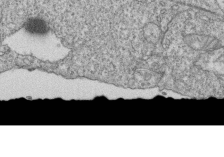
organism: Human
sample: HeLa cell HIV synapse